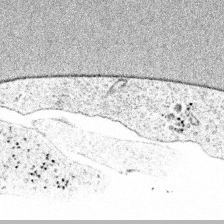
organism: Human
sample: HeLa cells